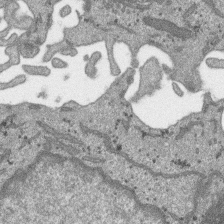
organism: Human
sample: Lung epithelial cells infected with SARS-CoV-2